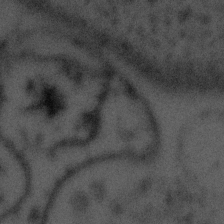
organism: Tuwongella immobilis